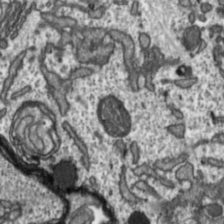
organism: Toxoplasma gondii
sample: Parasites in a vacuole inside a host cell